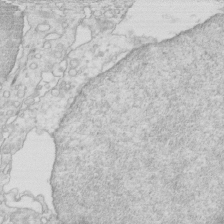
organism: Mouse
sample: Multiciliated cells